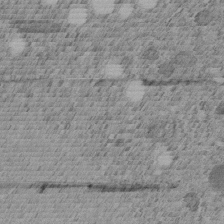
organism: C. elegans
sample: C. elegans embryo early stage